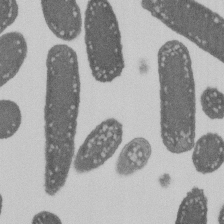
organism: E. coli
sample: Bacterial nucleoid